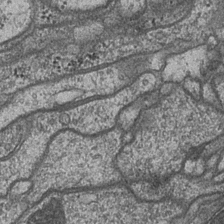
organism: Drosophila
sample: Optic medulla